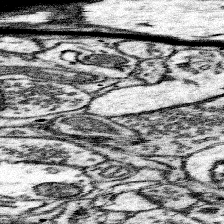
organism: Mouse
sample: Somatosensory cortex neuropil